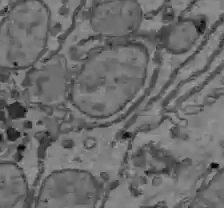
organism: C57BL Mouse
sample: Liver